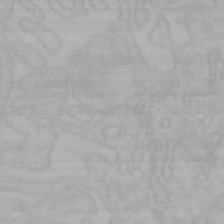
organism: Mouse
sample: Choroid plexus